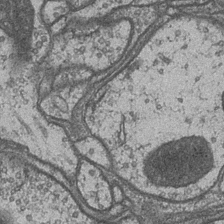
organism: Drosophila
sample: Optic medulla